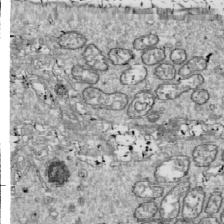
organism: Drosophila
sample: Cell division; meiosis; drosophila spermatocytes